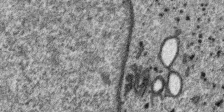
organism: Human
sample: Lung epithelial cells infected with SARS-CoV-2